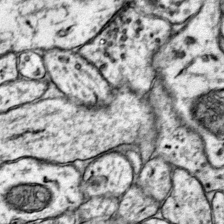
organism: Mouse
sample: Primary visual cortex